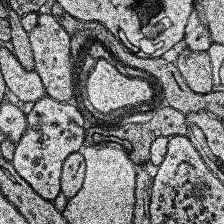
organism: Human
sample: Temporal Lobe